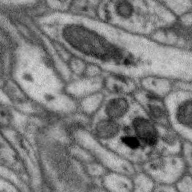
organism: Zebra finch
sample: Brain